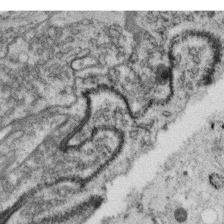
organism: C. elegans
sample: C. elegans oocyte; sperm cells